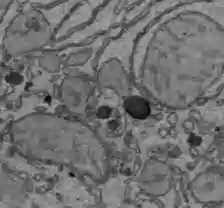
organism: C57BL Mouse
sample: Liver